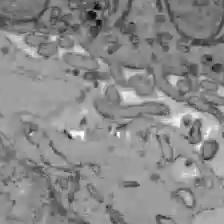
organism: C57BL Mouse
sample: Liver